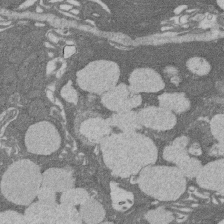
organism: Rat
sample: Salivary granule